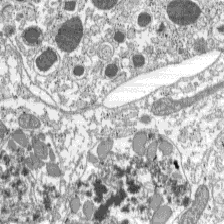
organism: C57BL Mouse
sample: Pancreatic islet